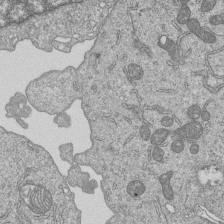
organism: Human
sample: MDA-MB-231 cells